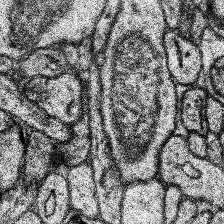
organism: Human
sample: Temporal Lobe